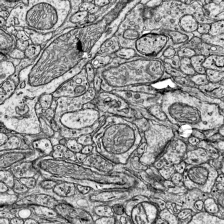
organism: Mouse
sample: Visual Cortex